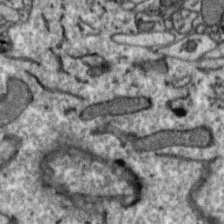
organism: Zebra finch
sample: Brain